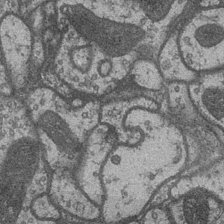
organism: Drosophila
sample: Optic medulla